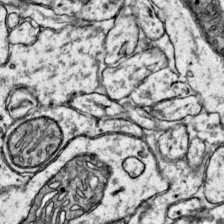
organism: Mouse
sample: Primary visual cortex